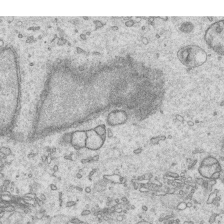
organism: Human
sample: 1205lu cells